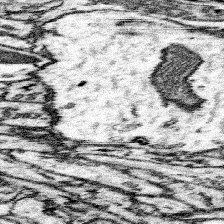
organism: Mouse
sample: Somatosensory cortex neuropil